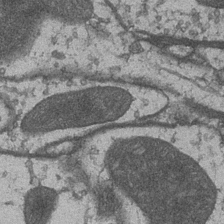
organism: Drosophila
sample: Optic medulla